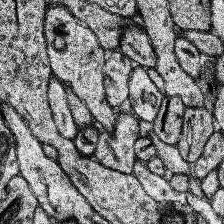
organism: Human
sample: Temporal Lobe